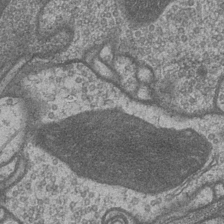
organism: Drosophila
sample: Optic medulla